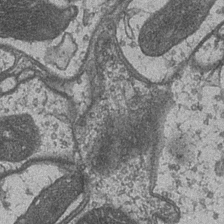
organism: Drosophila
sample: Optic medulla